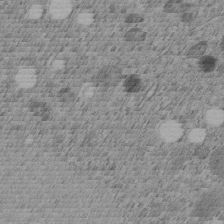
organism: C. elegans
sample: C. elegans embryo early stage